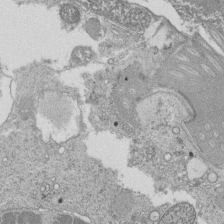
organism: Tetrahymena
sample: Cilia in tetrahymena